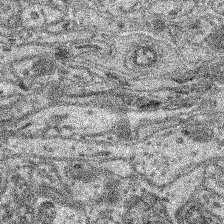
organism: Mouse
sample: Retina